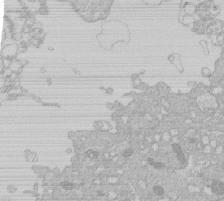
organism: Human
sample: Macrophage cells